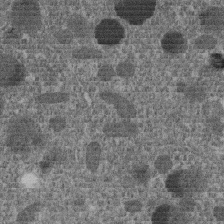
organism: C. elegans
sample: C. elegans embryo early stage